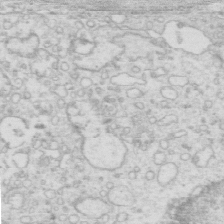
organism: Mouse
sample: Multiciliated cells